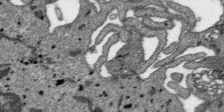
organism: Human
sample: Lung epithelial cells, uninfected (mock) control